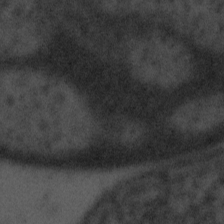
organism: Tuwongella immobilis